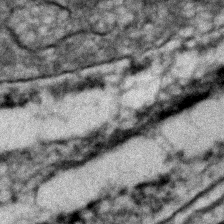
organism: C. elegans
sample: C. elegans embryo